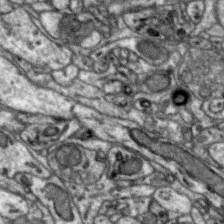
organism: Zebra finch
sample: Brain